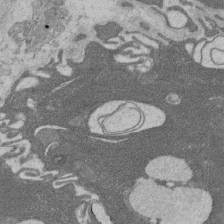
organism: Rat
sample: Salivary granule